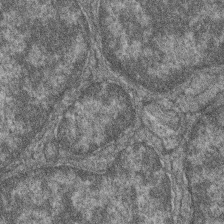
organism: Zebrafish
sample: Cilia; retinal pigment epithelium